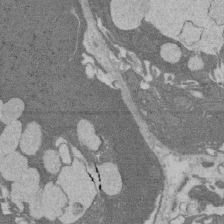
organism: Rat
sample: Salivary granule